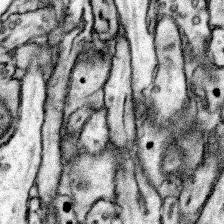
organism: Mouse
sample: Somatosensory cortex neuropil